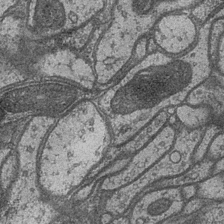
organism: Drosophila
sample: Optic medulla